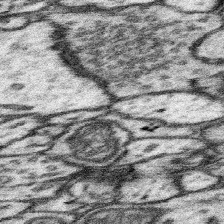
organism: Mouse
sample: Somatosensory cortex neuropil